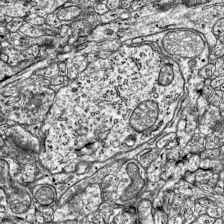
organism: Mouse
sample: Visual Cortex